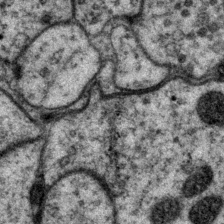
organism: P. pacificus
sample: Pharynx